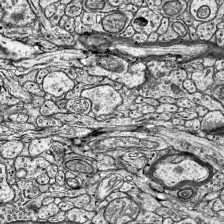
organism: Mouse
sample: Visual Cortex